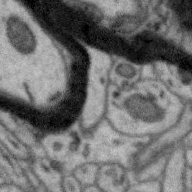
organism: Zebra finch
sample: Brain